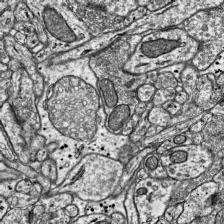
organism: Mouse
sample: Visual Cortex